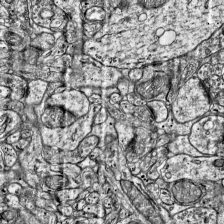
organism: Mouse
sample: Visual Cortex